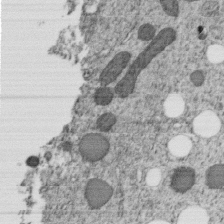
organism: C. elegans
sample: C. elegans embryo early stage